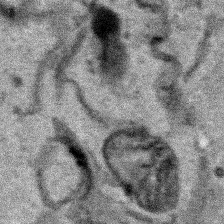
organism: Human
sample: Mitochondria in HCT116 cells